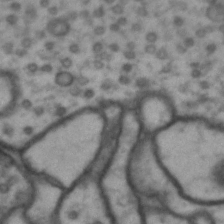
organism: Drosophila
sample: Brain